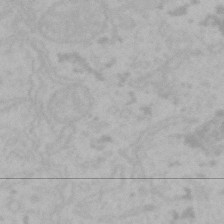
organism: Mouse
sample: Choroid plexus